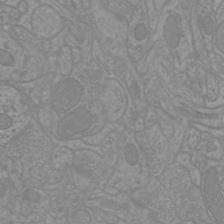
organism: Mouse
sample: Cortical neurons